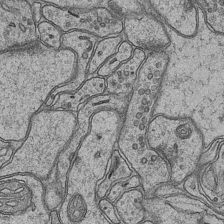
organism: Mouse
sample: CA1 Hippocampus